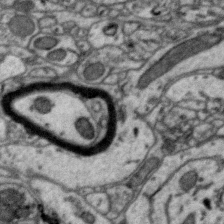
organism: Zebra finch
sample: Brain